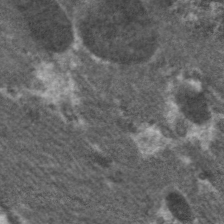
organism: C. elegans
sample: Pharynx